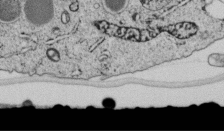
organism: C. elegans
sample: C. elegans embryo early stage